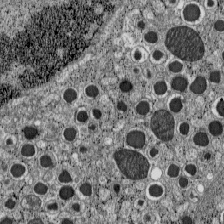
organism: C57BL Mouse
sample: Pancreatic islet